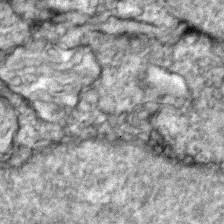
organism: Zebrafish